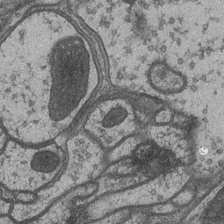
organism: Drosophila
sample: Optic medulla